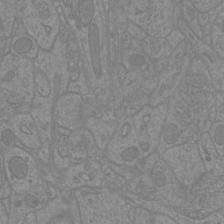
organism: Mouse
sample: Cortical neurons